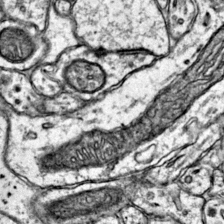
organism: Mouse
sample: Primary visual cortex